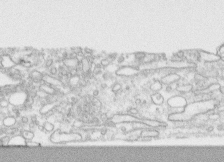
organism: Human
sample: CRL-1474